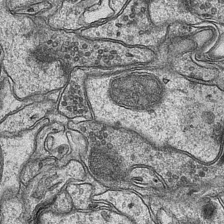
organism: Mouse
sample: CA1 Hippocampus